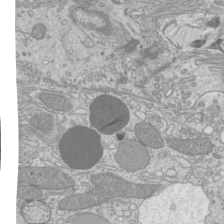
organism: Mouse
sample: Cilia; mouse epididymis